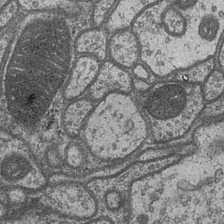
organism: Drosophila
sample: Optic medulla